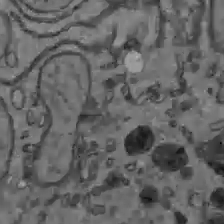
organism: C57BL Mouse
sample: Liver